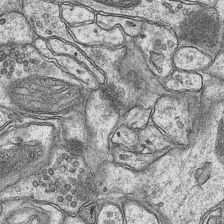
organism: Mouse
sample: CA1 Hippocampus